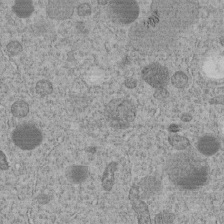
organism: C. elegans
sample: C. elegans embryo early stage